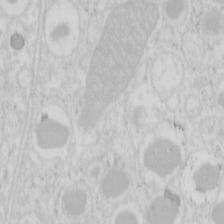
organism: Mouse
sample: Pancreas